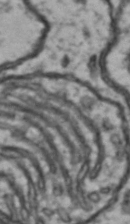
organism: Drosophila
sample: Brain